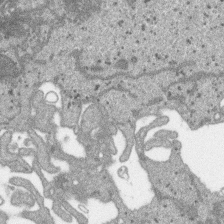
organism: Human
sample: Lung epithelial cells infected with SARS-CoV-2